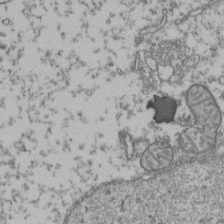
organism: Human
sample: Activated Jurkat CD4+ T cells